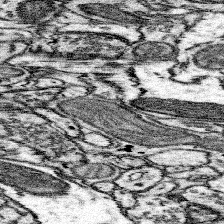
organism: Mouse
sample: Somatosensory cortex neuropil